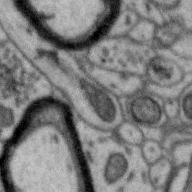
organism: Zebra finch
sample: Brain